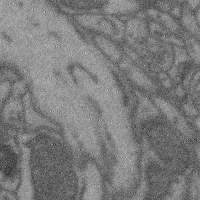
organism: Mouse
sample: Cerebral cortex